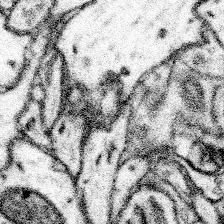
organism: Mouse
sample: Somatosensory cortex neuropil